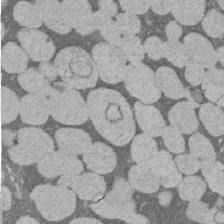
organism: Rat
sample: Salivary granule